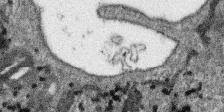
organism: Human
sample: Lung epithelial cells infected with SARS-CoV-2